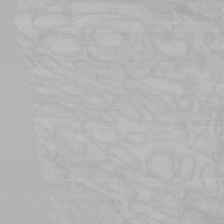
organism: Mouse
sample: Choroid plexus